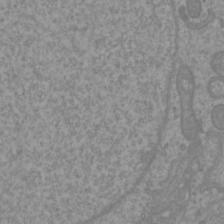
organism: Mouse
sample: Cortical neurons